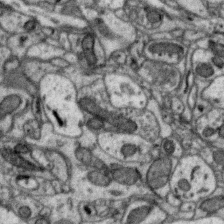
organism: Zebra finch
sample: Brain